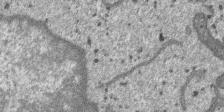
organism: Human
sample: Lung epithelial cells infected with SARS-CoV-2